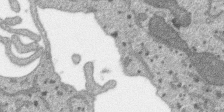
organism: Human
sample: Lung epithelial cells infected with SARS-CoV-2